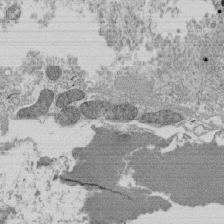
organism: Tetrahymena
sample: Cilia in tetrahymena